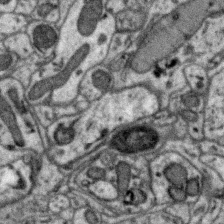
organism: Zebra finch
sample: Brain